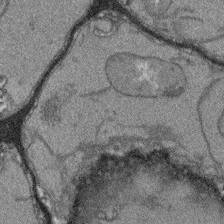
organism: Arabidopsis thaliana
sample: Root tip